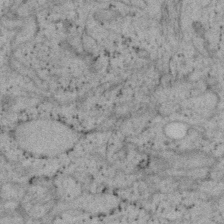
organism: Human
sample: HeLa cells